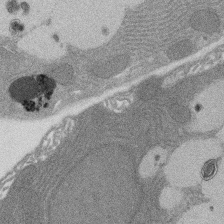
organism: Rat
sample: Salivary granule